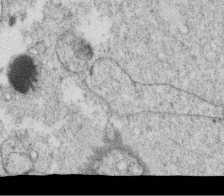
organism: C. elegans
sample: C. elegans oocyte; sperm cells